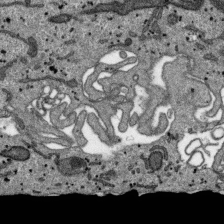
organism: Human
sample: Lung epithelial cells, uninfected (mock) control